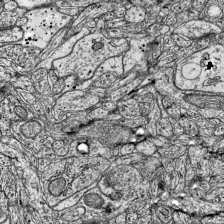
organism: Mouse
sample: Visual Cortex